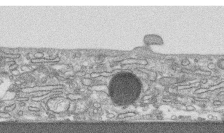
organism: Human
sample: CRL-1474